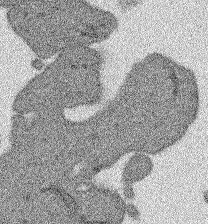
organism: Human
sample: HeLa cells